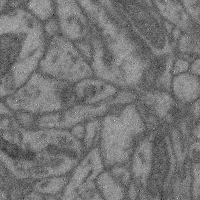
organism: Mouse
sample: Cerebral cortex